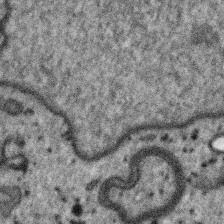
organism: Human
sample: Lung epithelial cells infected with SARS-CoV-2